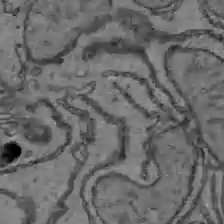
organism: C57BL Mouse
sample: Liver